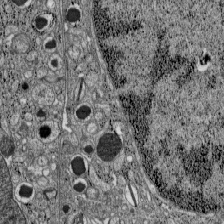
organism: C57BL Mouse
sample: Pancreatic islet